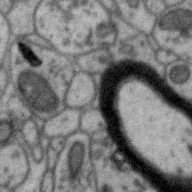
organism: Zebra finch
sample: Brain